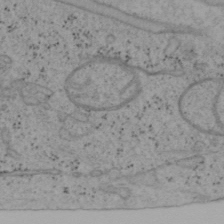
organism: Human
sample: HeLa cells